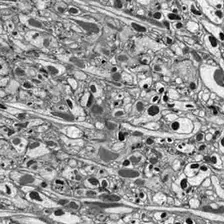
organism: Drosophila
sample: Optic lobe